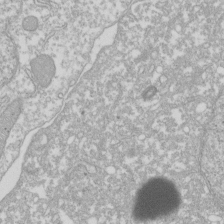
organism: Xenopus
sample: Cilia; centrioles in frog embryo cells